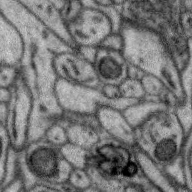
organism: Zebra finch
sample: Brain